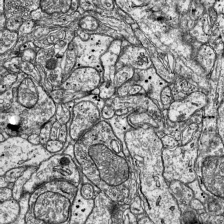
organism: Mouse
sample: Visual Cortex